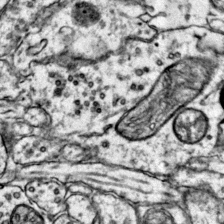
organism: Mouse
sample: Primary visual cortex